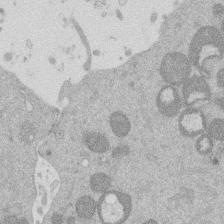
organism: Mouse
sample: Dividing mouse embryo 1 cell stage